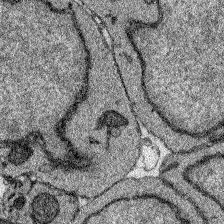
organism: Zebrafish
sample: Larval olfactory bulb